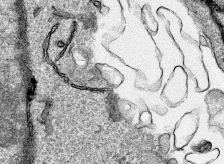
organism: Human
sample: Mitochondria in HCT116 cells